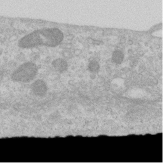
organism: Human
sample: Centriole in RPE cells